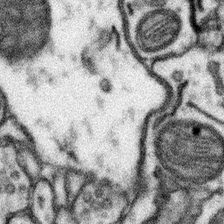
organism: Mouse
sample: Somatosensory cortex neuropil